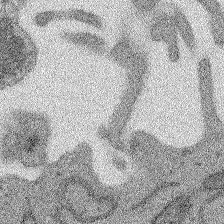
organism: Human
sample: HeLa cells